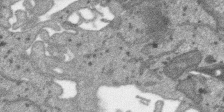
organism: Human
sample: Lung epithelial cells infected with SARS-CoV-2